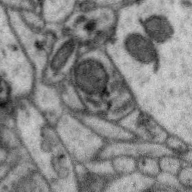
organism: Zebra finch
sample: Brain